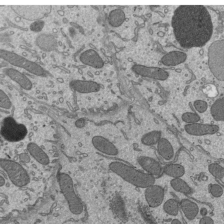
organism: Mouse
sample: Mouse epididymis efferent ductule cilia